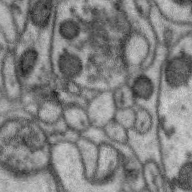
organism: Zebra finch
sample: Brain